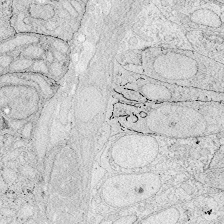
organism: Zebrafish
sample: Whole-Brain